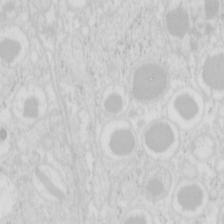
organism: Mouse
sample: Pancreas